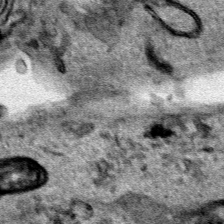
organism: Human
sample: Mitochondria in HCT116 cells